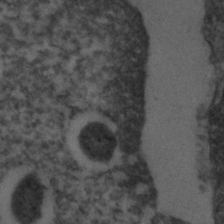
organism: C. elegans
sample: C. elegans embryo